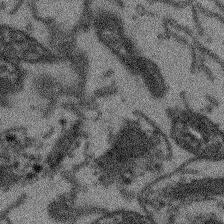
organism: Arabidopsis thaliana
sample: Root tip